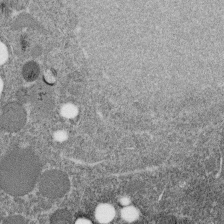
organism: C. elegans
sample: C. elegans embryo early stage